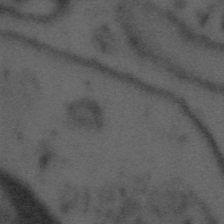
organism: Tuwongella immobilis